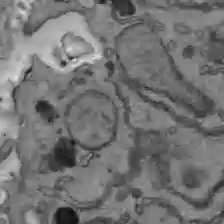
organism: C57BL Mouse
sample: Liver